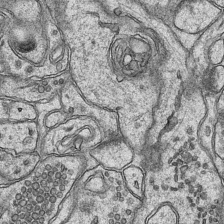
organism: Mouse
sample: CA1 Hippocampus